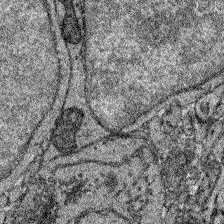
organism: Zebrafish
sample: Larval olfactory bulb